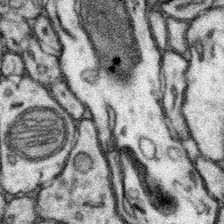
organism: Mouse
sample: Somatosensory cortex neuropil